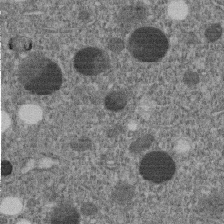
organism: C. elegans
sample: C. elegans embryo early stage